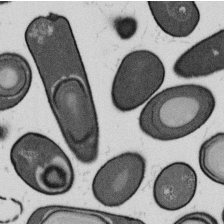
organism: B. subtilis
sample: Bacterial spore